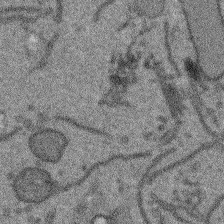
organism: Arabidopsis thaliana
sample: Root tip